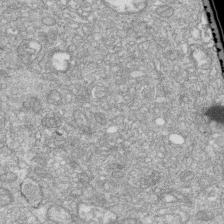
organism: Human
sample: HeLa cell HIV synapse